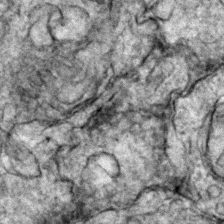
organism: Zebrafish